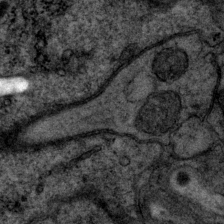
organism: P. pacificus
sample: Pharynx